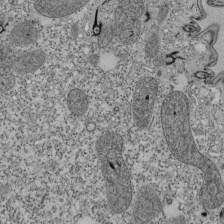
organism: Tetrahymena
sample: Cilia in tetrahymena